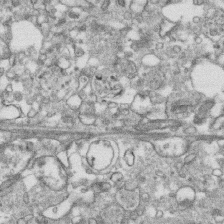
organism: Human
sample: CRL-1474